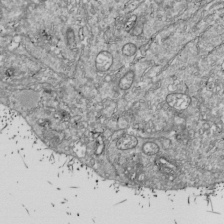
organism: Drosophila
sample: Cell division; meiosis; drosophila spermatocytes